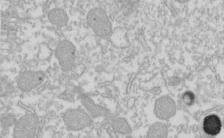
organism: Xenopus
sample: Cilia; centrioles in frog embryo cells